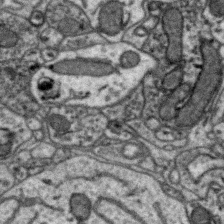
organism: Zebra finch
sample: Brain